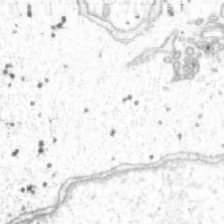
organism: Human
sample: HeLa cells